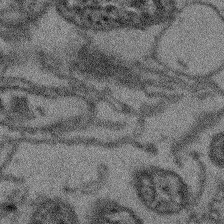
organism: Arabidopsis thaliana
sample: Root tip